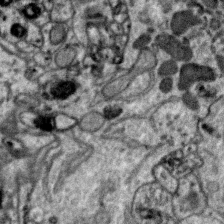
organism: Zebra finch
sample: Brain